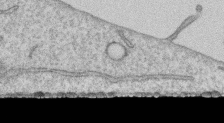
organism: Human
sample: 1205lu cells